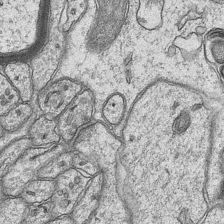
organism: Mouse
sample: CA1 Hippocampus